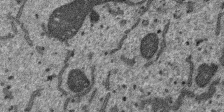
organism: Human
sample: Lung epithelial cells infected with SARS-CoV-2